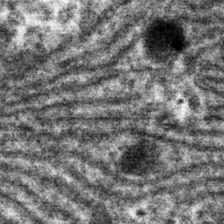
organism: Mouse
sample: Mouse hepatocytes